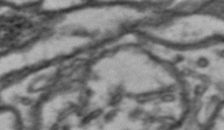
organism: Drosophila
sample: Brain